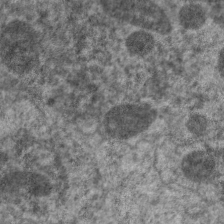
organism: C. elegans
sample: Pharynx